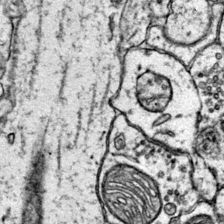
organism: Mouse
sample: Primary visual cortex